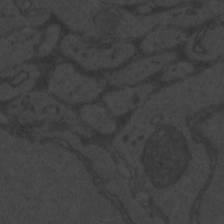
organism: Zebrafish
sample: Macrophage infected with Toxoplasma gondii